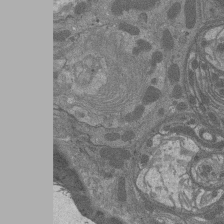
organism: Drosophila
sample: Antenna